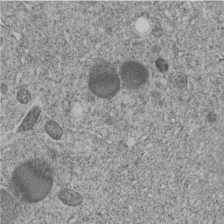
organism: C. elegans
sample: C. elegans embryo early stage